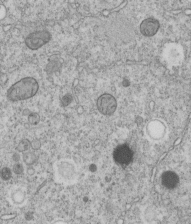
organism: C. elegans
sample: C. elegans embryo early stage